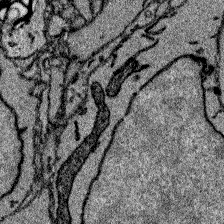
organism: Zebrafish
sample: Larval olfactory bulb